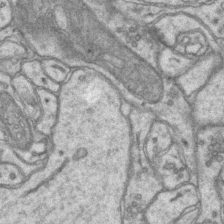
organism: Mouse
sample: CA1 Hippocampus